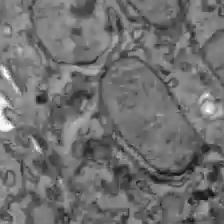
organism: C57BL Mouse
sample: Liver